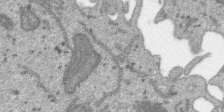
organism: Human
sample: Lung epithelial cells infected with SARS-CoV-2